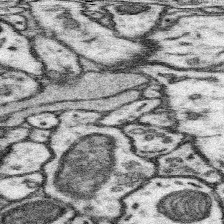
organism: Mouse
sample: Somatosensory cortex neuropil